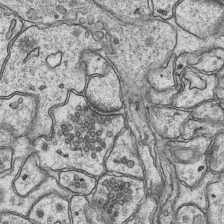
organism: Mouse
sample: CA1 Hippocampus